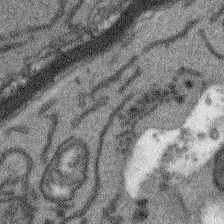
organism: Arabidopsis thaliana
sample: Root tip